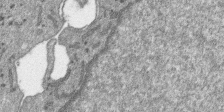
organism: Human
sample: Lung epithelial cells infected with SARS-CoV-2